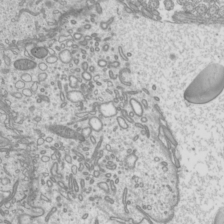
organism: Mouse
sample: Cilia; mouse epididymis